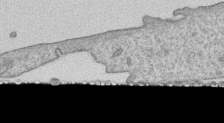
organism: Human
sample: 1205lu cells